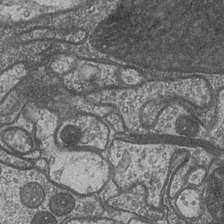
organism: Drosophila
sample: Optic medulla